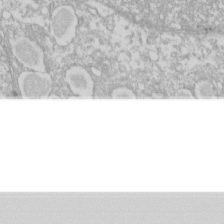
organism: Xenopus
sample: Cilia; centrioles in frog embryo cells